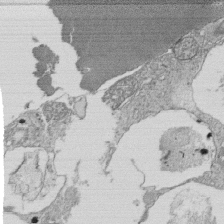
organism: Tetrahymena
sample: Cilia in tetrahymena